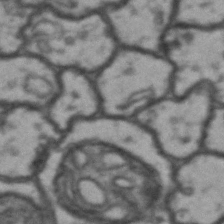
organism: Drosophila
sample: Brain